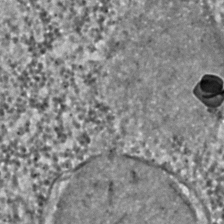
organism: C. elegans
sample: C. elegans embryo